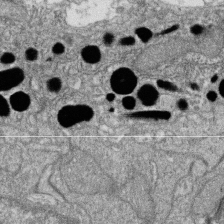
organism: Zebrafish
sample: Cilia; retinal pigment epithelium